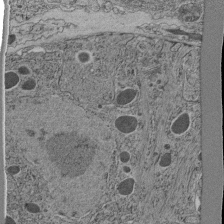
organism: C. elegans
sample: C. elegans pharynx